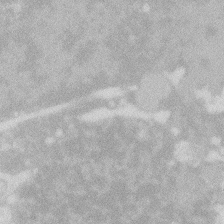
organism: Zebrafish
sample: Macrophage